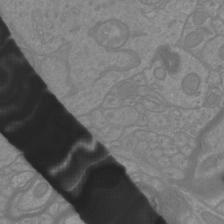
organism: Mouse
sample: Cortical neurons